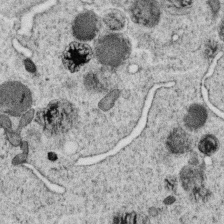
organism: C. elegans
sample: C. elegans oocyte; sperm cells